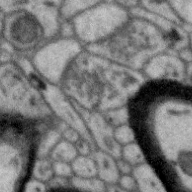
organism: Zebra finch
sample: Brain